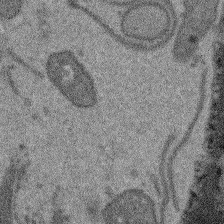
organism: Arabidopsis thaliana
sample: Root tip